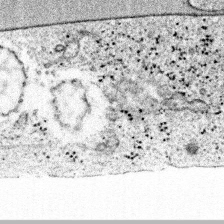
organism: Human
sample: HeLa cells